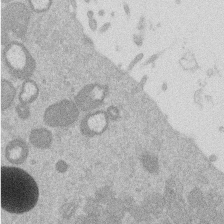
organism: Mouse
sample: Dividing mouse embryo 1 cell stage